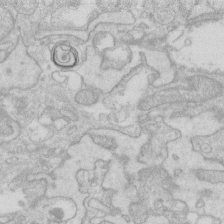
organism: Human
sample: Fibroblast cells